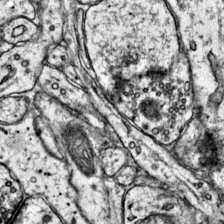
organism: Mouse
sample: Primary visual cortex